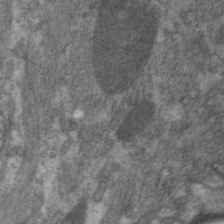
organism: C. elegans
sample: Pharynx